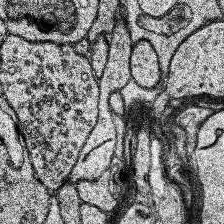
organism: Human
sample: Temporal Lobe